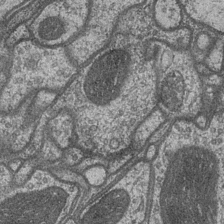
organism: Drosophila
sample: Optic medulla